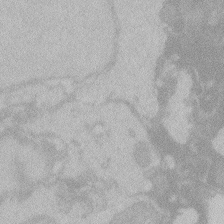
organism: Zebrafish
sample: Macrophage infected with Toxoplasma gondii